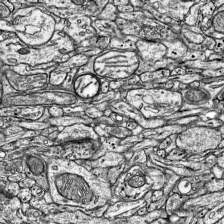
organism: Mouse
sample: Visual Cortex